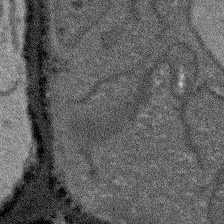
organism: Arabidopsis thaliana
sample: Root tip